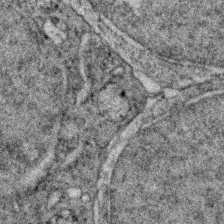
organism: Zebrafish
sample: Zebrafish embryo